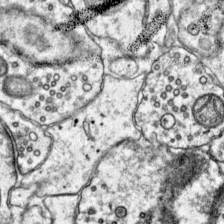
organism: Mouse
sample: Primary visual cortex